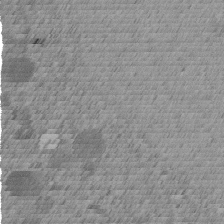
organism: C. elegans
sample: C. elegans embryo early stage